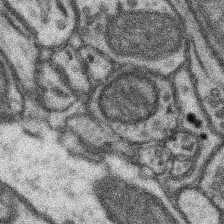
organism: Mouse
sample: Somatosensory cortex neuropil